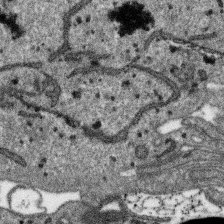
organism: Human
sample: Lung epithelial cells infected with SARS-CoV-2